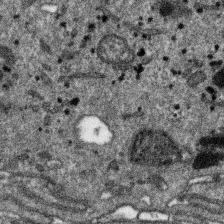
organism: Human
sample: Lung epithelial cells infected with SARS-CoV-2